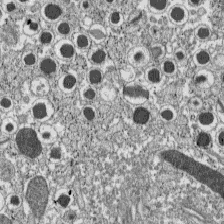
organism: C57BL Mouse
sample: Pancreatic islet